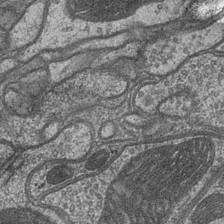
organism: Drosophila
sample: Optic medulla